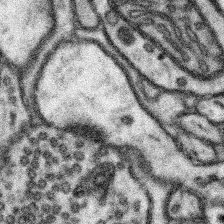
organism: Mouse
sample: Somatosensory cortex neuropil